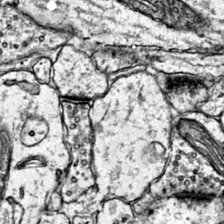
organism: Mouse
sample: Primary visual cortex